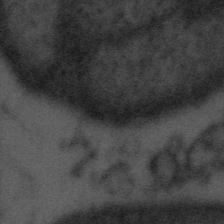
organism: Tuwongella immobilis